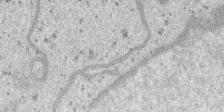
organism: Human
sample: Lung epithelial cells infected with SARS-CoV-2